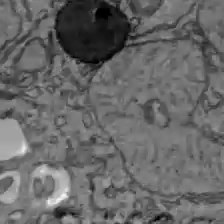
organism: C57BL Mouse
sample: Liver